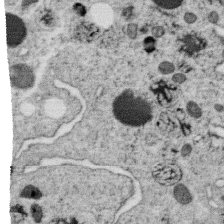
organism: C. elegans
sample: C. elegans oocyte; sperm cells